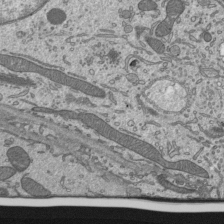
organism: Mouse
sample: Mouse epididymis efferent ductule cilia